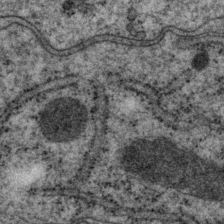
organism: P. pacificus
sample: Pharynx